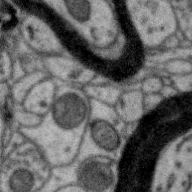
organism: Zebra finch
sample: Brain